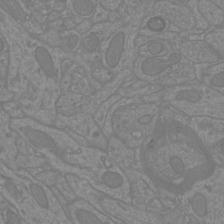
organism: Mouse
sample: Cortical neurons